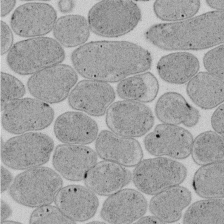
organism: E. coli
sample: Bacterial nucleoid